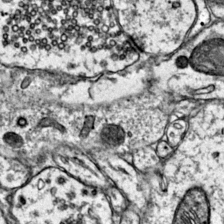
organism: Mouse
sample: Primary visual cortex